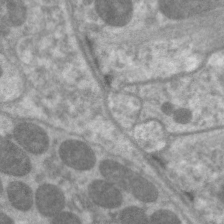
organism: C. elegans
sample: Pharynx